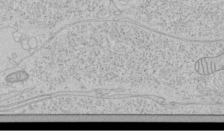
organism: Human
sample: Mitochondria in HCT116 cells